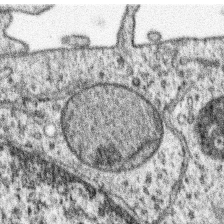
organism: Human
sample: HeLa cells